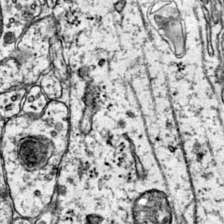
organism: Mouse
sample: Primary visual cortex